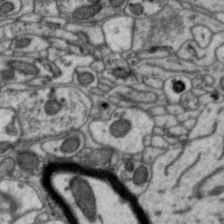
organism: Zebra finch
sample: Brain